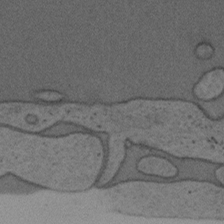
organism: Human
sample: HeLa cells